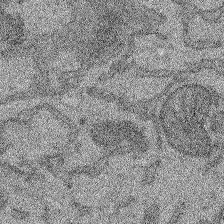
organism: Human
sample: HeLa cells